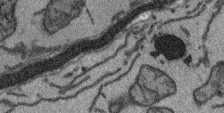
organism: Arabidopsis thaliana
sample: Root tip